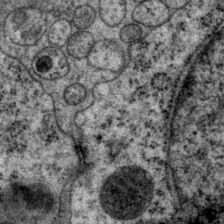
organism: P. pacificus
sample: Pharynx